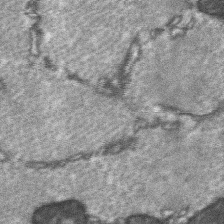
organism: C57BL Mouse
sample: Soleus